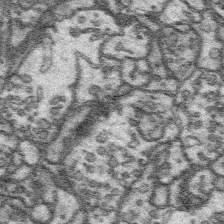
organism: Platynereis dumerilii